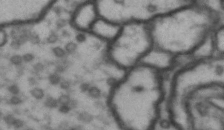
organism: Drosophila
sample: Brain